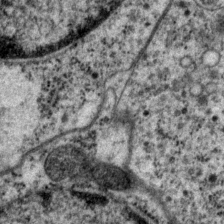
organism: P. pacificus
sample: Pharynx